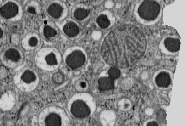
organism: C57BL Mouse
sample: Pancreatic islet